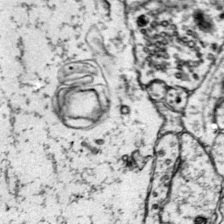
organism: Mouse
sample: Primary visual cortex